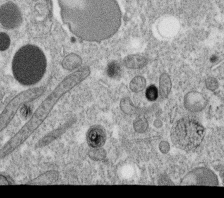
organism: C. elegans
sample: C. elegans oocyte; sperm cells